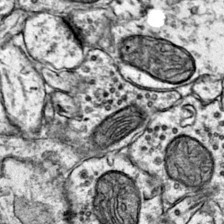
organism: Mouse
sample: Primary visual cortex